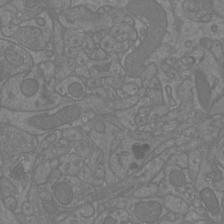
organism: Mouse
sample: Cortical neurons